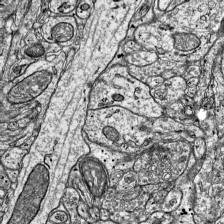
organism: Mouse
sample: Visual Cortex